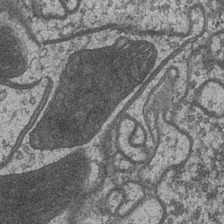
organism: Drosophila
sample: Optic medulla